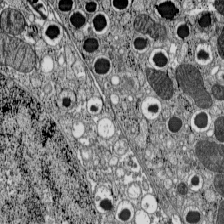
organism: C57BL Mouse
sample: Pancreatic islet